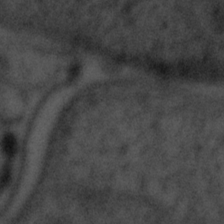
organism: Tuwongella immobilis